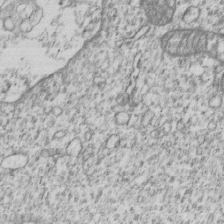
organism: Human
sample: MDA-MB-231 cells